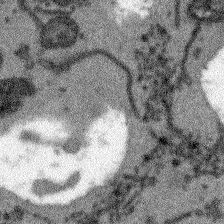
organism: Arabidopsis thaliana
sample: Root tip